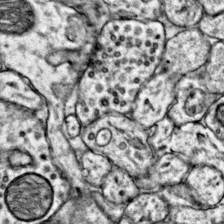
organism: Mouse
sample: Primary visual cortex